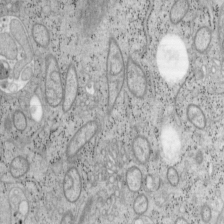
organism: Mouse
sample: OT-I killer T cells with ID8 ovarian cancer cells